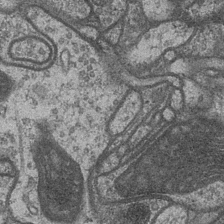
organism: Drosophila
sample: Optic medulla